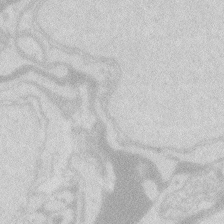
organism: Zebrafish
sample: Macrophage